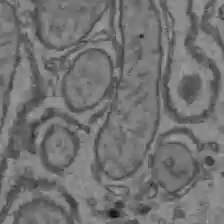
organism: C57BL Mouse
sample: Liver